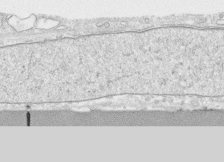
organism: Human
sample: CRL-1474